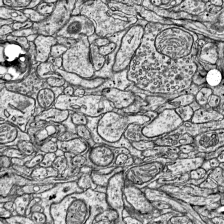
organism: Mouse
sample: Visual Cortex